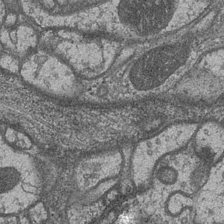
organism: Drosophila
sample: Optic medulla